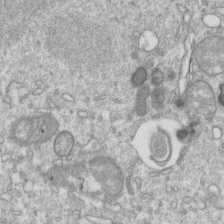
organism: Mouse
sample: Activated OT-1 CD8+ T cells